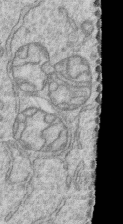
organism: Human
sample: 1205lu cells